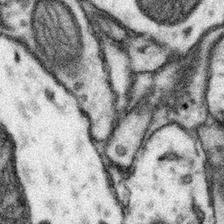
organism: Mouse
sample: Somatosensory cortex neuropil